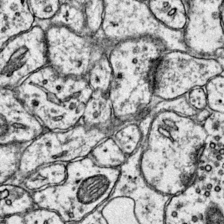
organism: Mouse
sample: Primary visual cortex